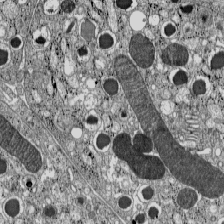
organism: C57BL Mouse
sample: Pancreatic islet